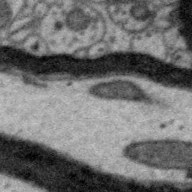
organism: Zebra finch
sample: Brain